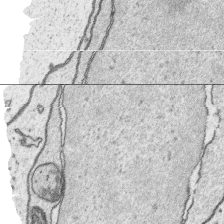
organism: Platynereis dumerilii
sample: Parapodia